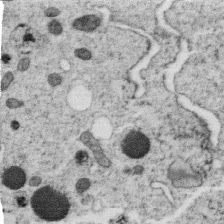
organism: C. elegans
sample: C. elegans oocyte; sperm cells